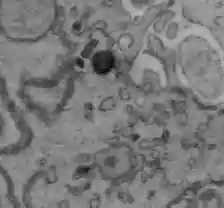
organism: C57BL Mouse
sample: Liver